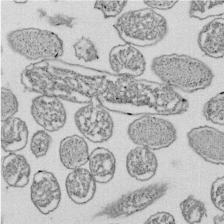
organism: E. coli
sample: Bacterial nucleoid